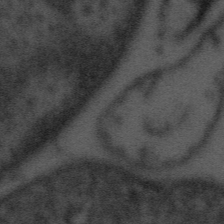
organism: Tuwongella immobilis